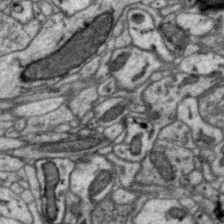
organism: Zebra finch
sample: Brain